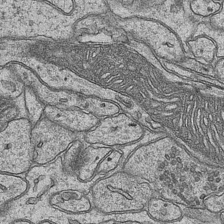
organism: Mouse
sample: CA1 Hippocampus